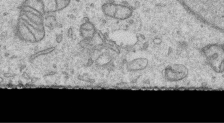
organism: Human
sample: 1205lu cells